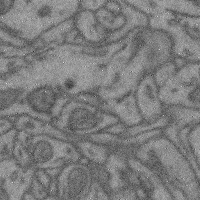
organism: Mouse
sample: Cerebral cortex